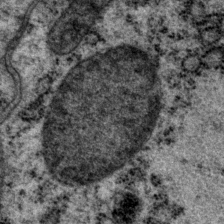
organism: P. pacificus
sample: Pharynx